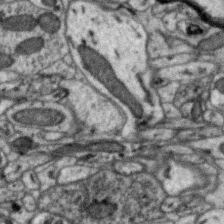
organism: Zebra finch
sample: Brain